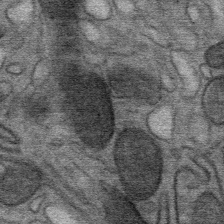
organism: Mouse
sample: Mouse Salivary gland